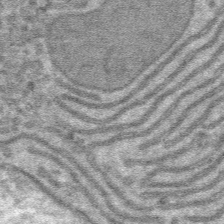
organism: Mouse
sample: Mouse hepatocytes